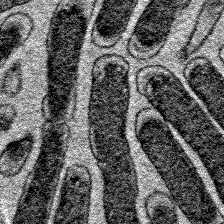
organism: E. coli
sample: E. Coli Bacteria